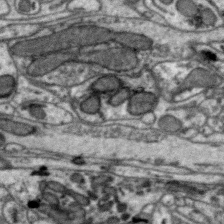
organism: Zebra finch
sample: Brain